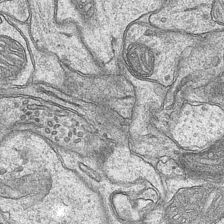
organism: Mouse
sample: CA1 Hippocampus